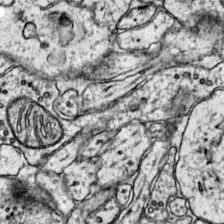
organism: Mouse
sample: Primary visual cortex